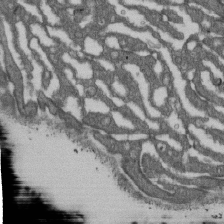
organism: Drosophila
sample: Nephrocyte